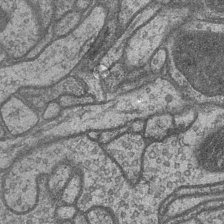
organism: Drosophila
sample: Optic medulla